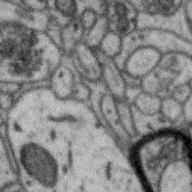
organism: Zebra finch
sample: Brain